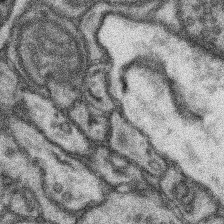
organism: Mouse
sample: Somatosensory cortex neuropil